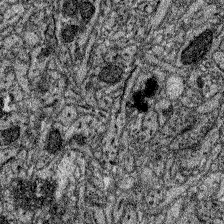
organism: Zebrafish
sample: Larval olfactory bulb